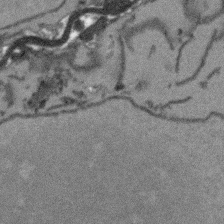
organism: Arabidopsis thaliana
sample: Root tip